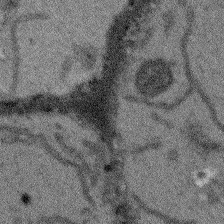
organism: Arabidopsis thaliana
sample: Root tip